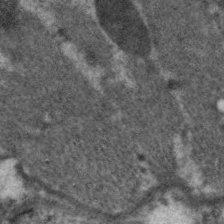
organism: C. elegans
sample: Pharynx